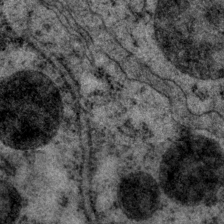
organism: P. pacificus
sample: Pharynx